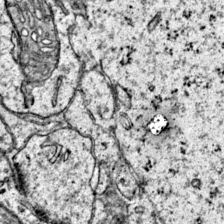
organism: Mouse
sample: Primary visual cortex